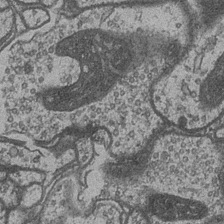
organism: Drosophila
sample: Optic medulla